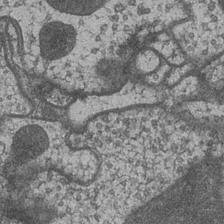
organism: Drosophila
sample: Optic medulla